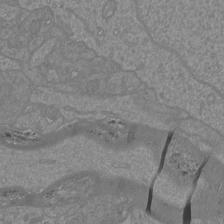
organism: Mouse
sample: Cortical neurons